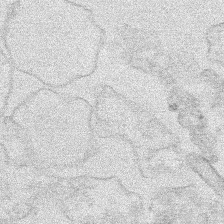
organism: Human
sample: Mitochondria in HCT116 cells